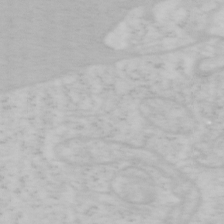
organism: Mouse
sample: OT-I killer T cells with ID8 ovarian cancer cells